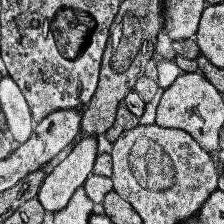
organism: Human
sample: Temporal Lobe